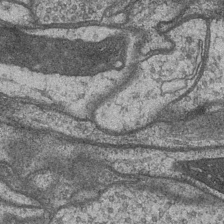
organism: Drosophila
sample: Optic medulla